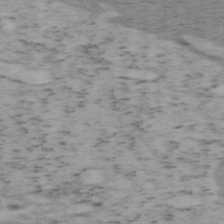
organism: Mouse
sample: OT-I killer T cells with ID8 ovarian cancer cells